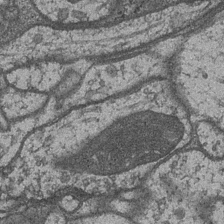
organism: Drosophila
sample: Optic medulla